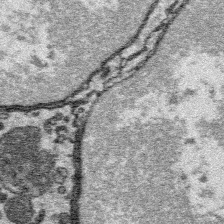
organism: Platynereis dumerilii